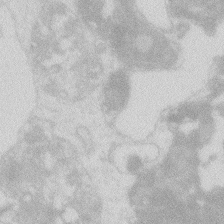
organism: Zebrafish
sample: Macrophage